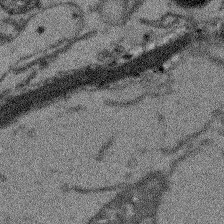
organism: Arabidopsis thaliana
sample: Root tip